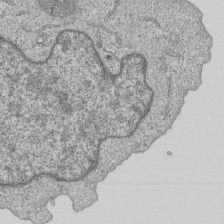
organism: Human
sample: MDA-MB-231 cells